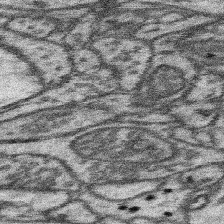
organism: Mouse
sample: Somatosensory cortex neuropil